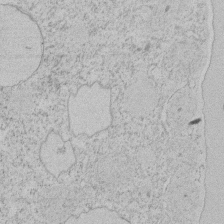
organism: Tetrahymena